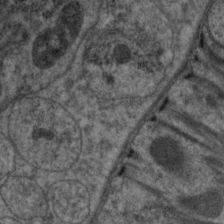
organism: C. elegans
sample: Pharynx